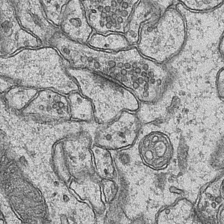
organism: Mouse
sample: CA1 Hippocampus